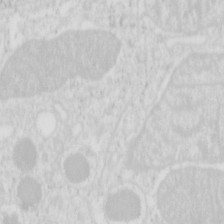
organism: Mouse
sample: Pancreas